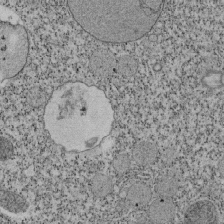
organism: Tetrahymena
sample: Cilia in tetrahymena